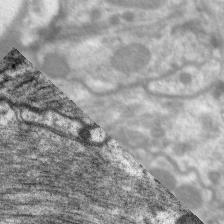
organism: C. elegans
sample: Pharynx